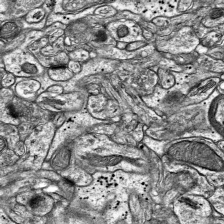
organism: Mouse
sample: Visual Cortex